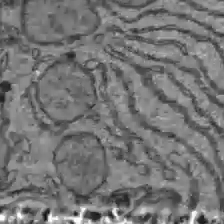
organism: C57BL Mouse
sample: Liver